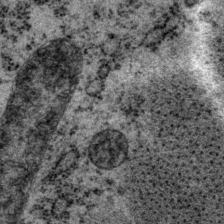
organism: P. pacificus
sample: Pharynx